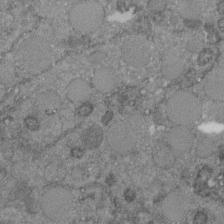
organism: C. elegans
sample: C. elegans embryo early stage